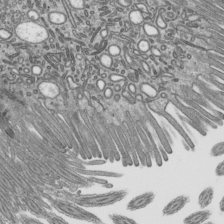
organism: Mouse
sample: Mouse epididymis efferent ductule cilia